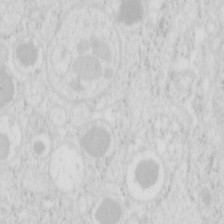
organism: Mouse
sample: Pancreas